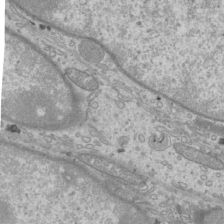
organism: Mouse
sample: Cilia; mouse epididymis